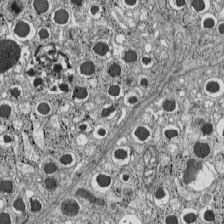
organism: C57BL Mouse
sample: Pancreatic islet